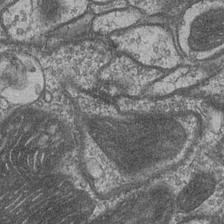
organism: Drosophila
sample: Optic medulla